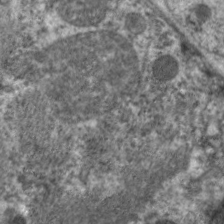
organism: C. elegans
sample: Pharynx